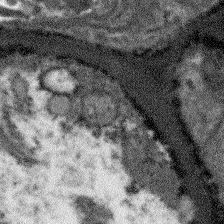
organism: Arabidopsis thaliana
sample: Root tip